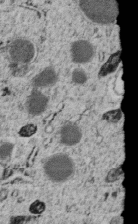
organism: C. elegans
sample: C. elegans embryo early stage